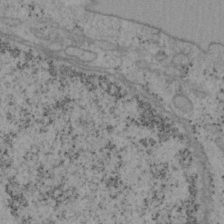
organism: Human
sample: HeLa cells